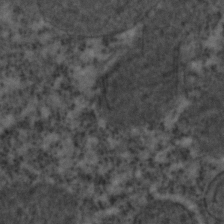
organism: C. elegans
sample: C. elegans embryo